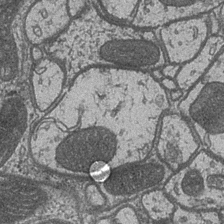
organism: Drosophila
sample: Optic medulla